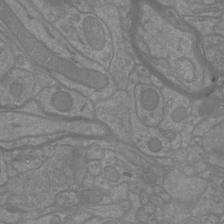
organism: Mouse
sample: Cortical neurons